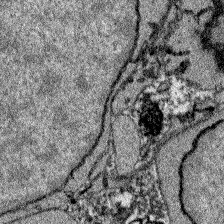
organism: Zebrafish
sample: Larval olfactory bulb